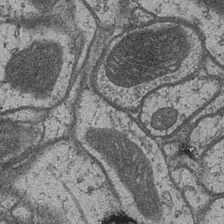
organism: Drosophila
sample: Optic medulla